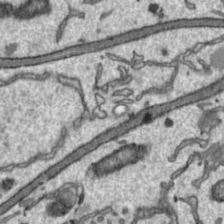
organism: Toxoplasma gondii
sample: Parasites in a vacuole inside a host cell